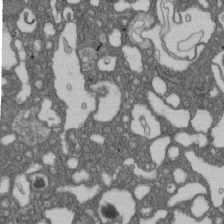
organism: Drosophila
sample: Nephrocyte